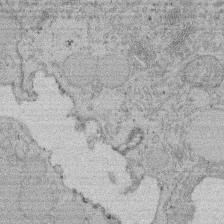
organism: Rat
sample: Salivary granule